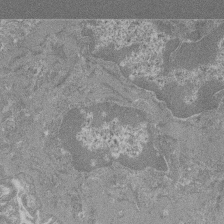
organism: Mouse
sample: Glomerulus